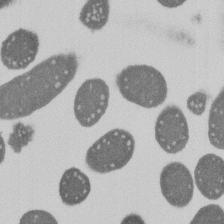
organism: E. coli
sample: Bacterial nucleoid